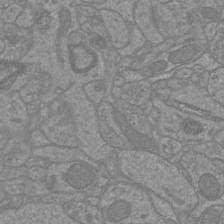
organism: Mouse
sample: Cortical neurons